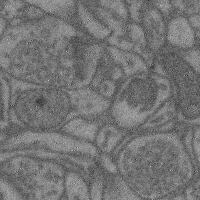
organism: Mouse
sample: Cerebral cortex